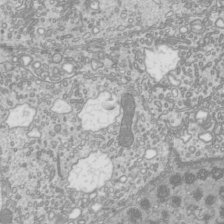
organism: Mouse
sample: Cilia; mouse epididymis